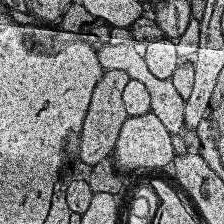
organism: Human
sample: Temporal Lobe